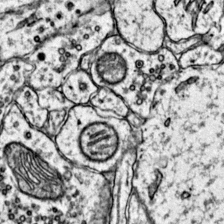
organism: Mouse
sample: Primary visual cortex